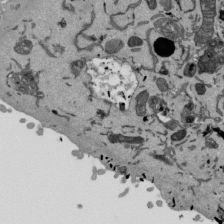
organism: Mouse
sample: ED-1 cell nuclei; centrioles